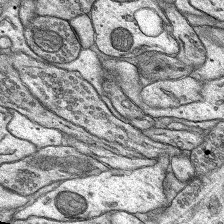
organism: Rat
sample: Hippocampus